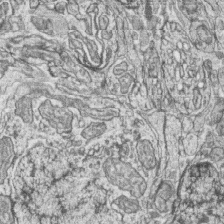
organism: Zebrafish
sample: synaptic ribbons in rod cells and cone cells